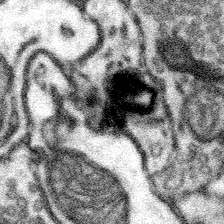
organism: Mouse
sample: Somatosensory cortex neuropil